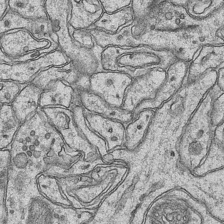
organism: Mouse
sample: CA1 Hippocampus